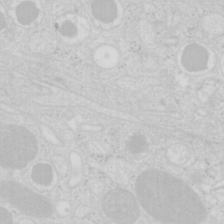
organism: Mouse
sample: Pancreas